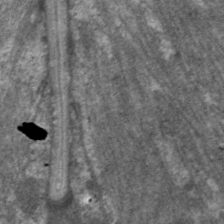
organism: C. elegans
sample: Pharynx